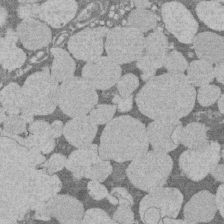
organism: Rat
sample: Salivary granule